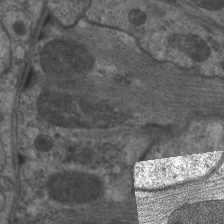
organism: C. elegans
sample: Pharynx